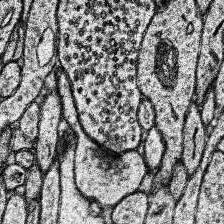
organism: Human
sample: Temporal Lobe